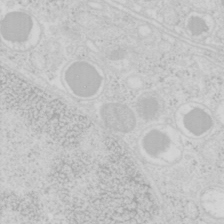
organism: Mouse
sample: Pancreas